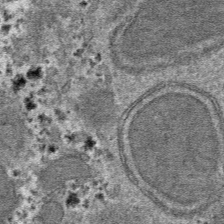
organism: Mouse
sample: Mouse hepatocytes